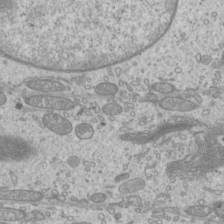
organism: Mouse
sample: Cilia; mouse epididymis